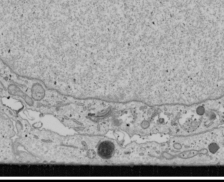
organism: Human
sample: Mitochondria in U2OS cells